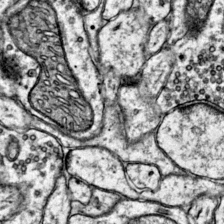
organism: Mouse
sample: Primary visual cortex